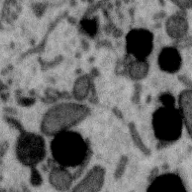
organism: Zebra finch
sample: Brain